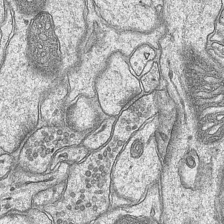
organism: Mouse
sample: CA1 Hippocampus